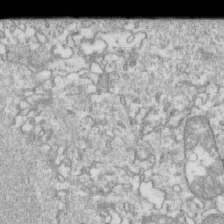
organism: Mouse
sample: Activated OT-1 CD8+ T cells